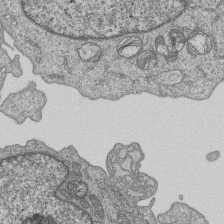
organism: Human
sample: MDA-MB-231 cells